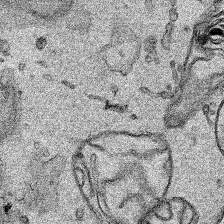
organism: Human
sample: Mitochondria in HCT116 cells